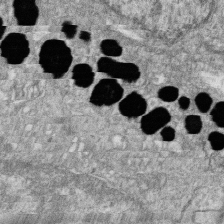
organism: Zebrafish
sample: Cilia; retinal pigment epithelium